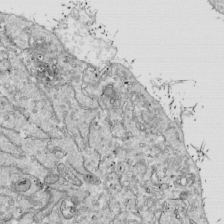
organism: Drosophila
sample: Cell division; meiosis; drosophila spermatocytes